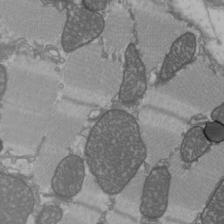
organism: C57BL Mouse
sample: Heart